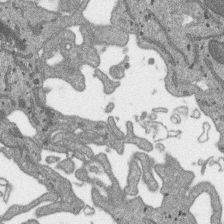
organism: Human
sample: Lung epithelial cells infected with SARS-CoV-2